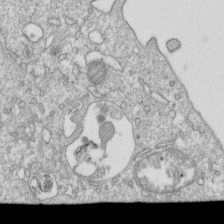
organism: Mouse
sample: Activated OT-1 CD8+ T cells